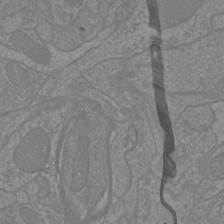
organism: Mouse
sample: Cortical neurons